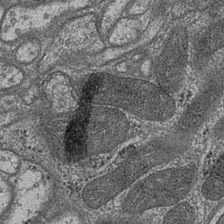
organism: Drosophila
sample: Optic medulla